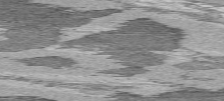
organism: C57BL Mouse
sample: Heart